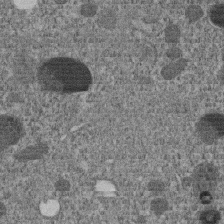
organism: C. elegans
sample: C. elegans embryo early stage